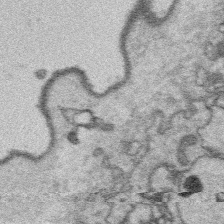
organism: Platynereis dumerilii